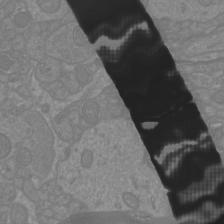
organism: Mouse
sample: Cortical neurons